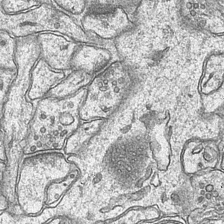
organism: Mouse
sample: CA1 Hippocampus